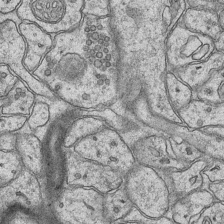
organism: Mouse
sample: CA1 Hippocampus